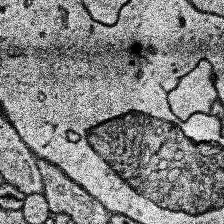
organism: Human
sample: Temporal Lobe